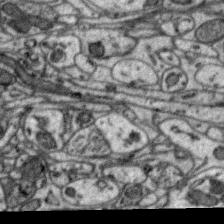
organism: Zebra finch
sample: Brain